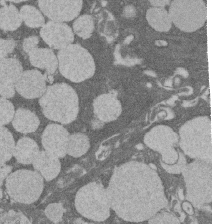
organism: Rat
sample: Salivary granule